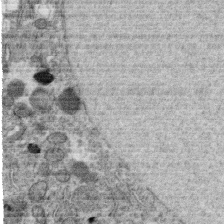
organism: C. elegans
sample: C. elegans oocyte; sperm cells